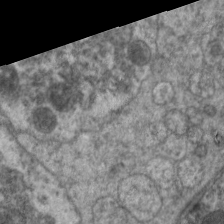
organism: C. elegans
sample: Pharynx